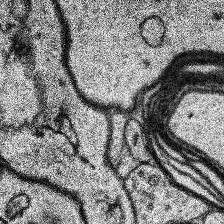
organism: Human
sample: Temporal Lobe